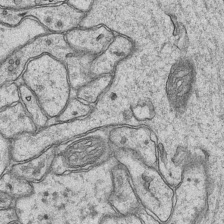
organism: Mouse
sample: CA1 Hippocampus